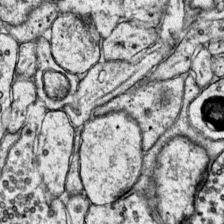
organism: Mouse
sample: Primary visual cortex